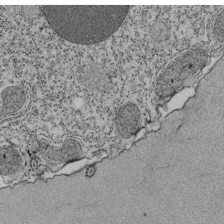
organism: Tetrahymena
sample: Cilia in tetrahymena